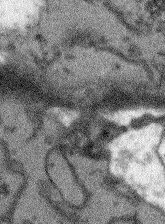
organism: Arabidopsis thaliana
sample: Root tip